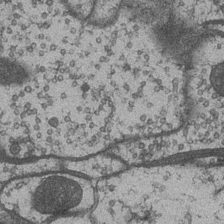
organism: Drosophila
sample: Optic medulla